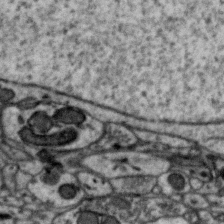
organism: Zebra finch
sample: Brain